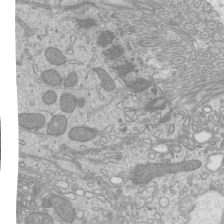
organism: Mouse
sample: Cilia; mouse epididymis